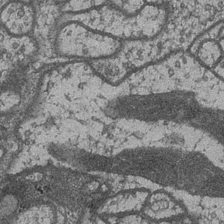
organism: Drosophila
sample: Optic medulla